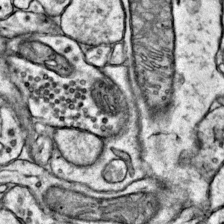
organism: Mouse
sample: Primary visual cortex